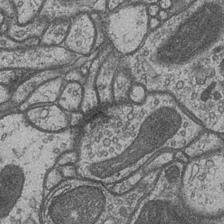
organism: Drosophila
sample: Optic medulla